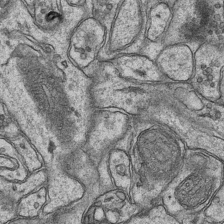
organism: Mouse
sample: CA1 Hippocampus